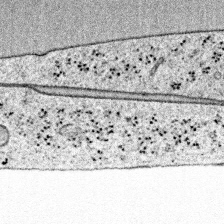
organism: Human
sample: HeLa cells